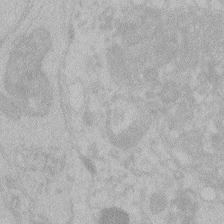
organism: Zebrafish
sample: Macrophage infected with Toxoplasma gondii